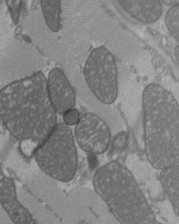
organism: C57BL Mouse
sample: Heart